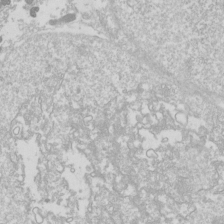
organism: Drosophila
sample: Cell division; meiosis; drosophila spermatocytes